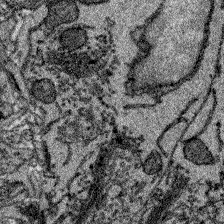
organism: Zebrafish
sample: Larval olfactory bulb